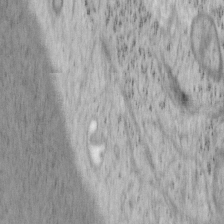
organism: Human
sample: HeLa cells